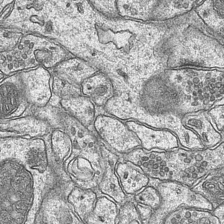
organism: Mouse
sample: CA1 Hippocampus